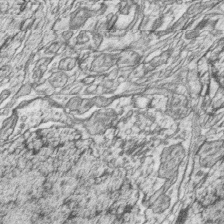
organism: Zebrafish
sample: synaptic ribbons in rod cells and cone cells